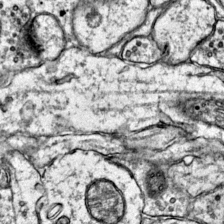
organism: Mouse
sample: Primary visual cortex